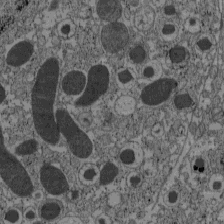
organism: C57BL Mouse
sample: Pancreatic islet